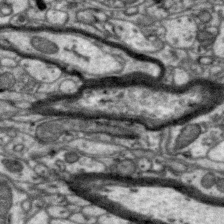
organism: Zebra finch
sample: Brain